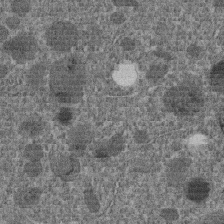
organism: C. elegans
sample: C. elegans embryo early stage